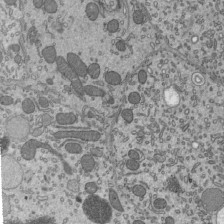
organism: Mouse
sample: Mouse epididymis efferent ductule cilia